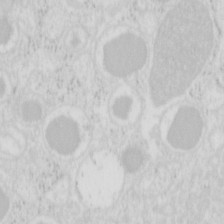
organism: Mouse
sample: Pancreas